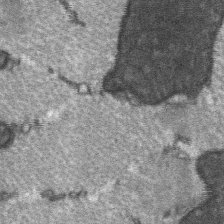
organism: C57BL Mouse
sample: Soleus